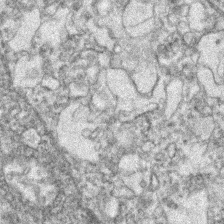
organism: Zebrafish